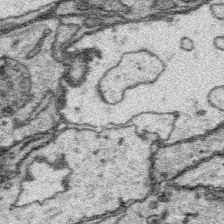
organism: Platynereis dumerilii